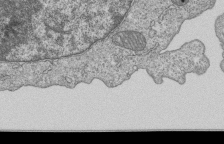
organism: Human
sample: MDA-MB-231 cells